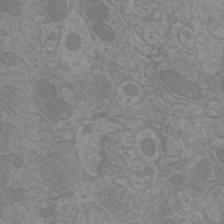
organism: Mouse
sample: Cortical neurons